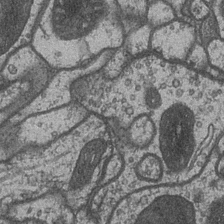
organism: Drosophila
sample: Optic medulla